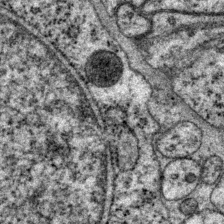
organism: P. pacificus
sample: Pharynx